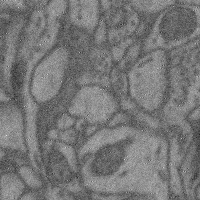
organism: Mouse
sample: Cerebral cortex